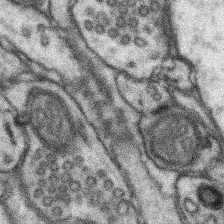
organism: Mouse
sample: Somatosensory cortex neuropil